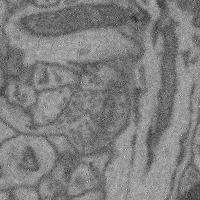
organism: Mouse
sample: Cerebral cortex